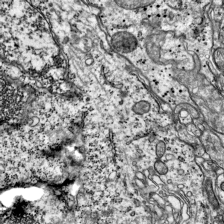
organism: Mouse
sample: Visual Cortex